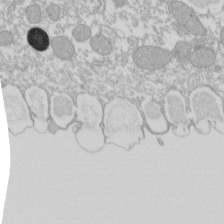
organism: Xenopus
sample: Cilia; centrioles in frog embryo cells